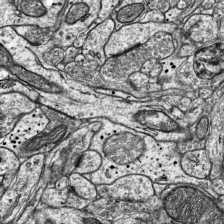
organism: Mouse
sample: Visual Cortex